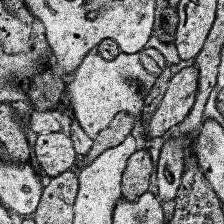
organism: Human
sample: Temporal Lobe